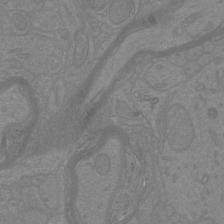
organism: Mouse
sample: Cortical neurons